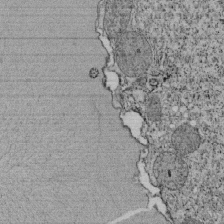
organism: Tetrahymena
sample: Cilia in tetrahymena